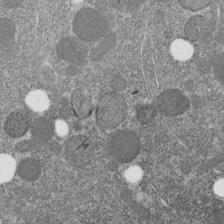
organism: C. elegans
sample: C. elegans embryo early stage